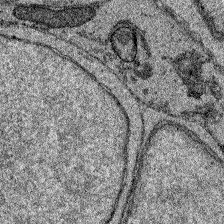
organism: Zebrafish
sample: Larval olfactory bulb